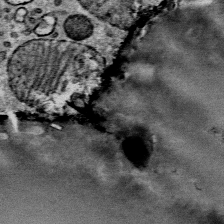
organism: Mouse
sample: Mouse Salivary gland